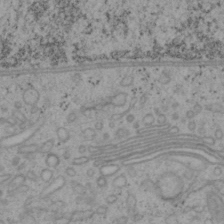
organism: Human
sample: HeLa cells